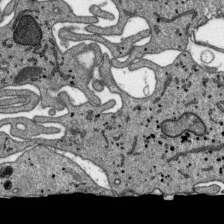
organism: Human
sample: Lung epithelial cells, uninfected (mock) control